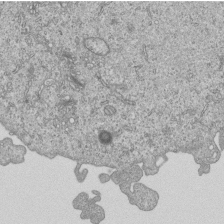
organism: Human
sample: MDA-MB-231 cells